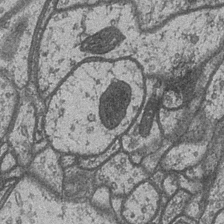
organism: Drosophila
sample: Optic medulla